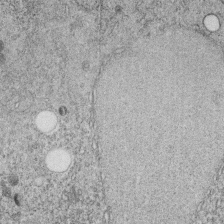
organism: C. elegans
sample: C. elegans embryo early stage